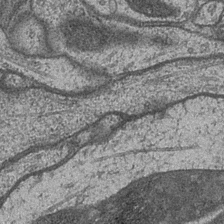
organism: Drosophila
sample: Optic medulla